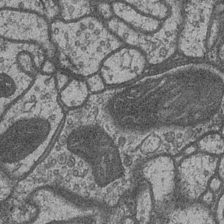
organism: Drosophila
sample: Optic medulla